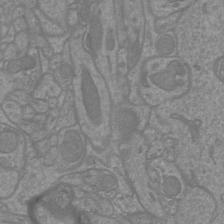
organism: Mouse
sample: Cortical neurons